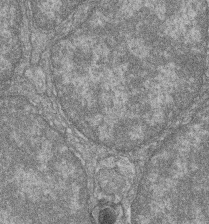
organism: Zebrafish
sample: Cilia; retinal pigment epithelium